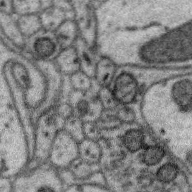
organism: Zebra finch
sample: Brain